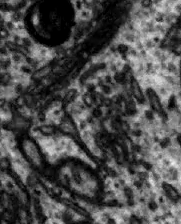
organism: Human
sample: HeLa cells